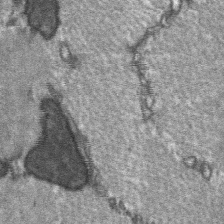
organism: C57BL Mouse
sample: Soleus